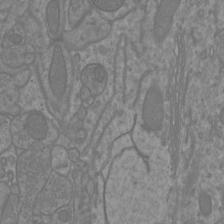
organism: Mouse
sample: Cortical neurons